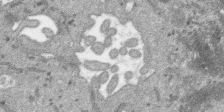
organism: Human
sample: Lung epithelial cells infected with SARS-CoV-2